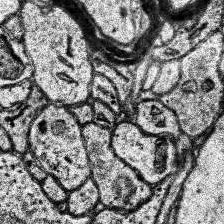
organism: Human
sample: Temporal Lobe